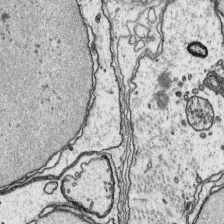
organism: Platynereis dumerilii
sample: Parapodia